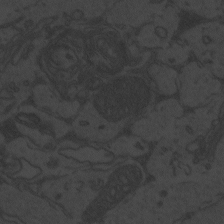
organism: Zebrafish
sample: Macrophage infected with Toxoplasma gondii